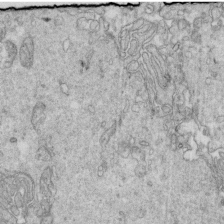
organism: Mouse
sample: Multiciliated cells